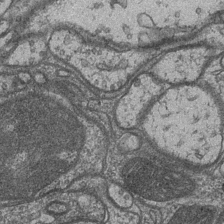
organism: Drosophila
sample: Optic medulla